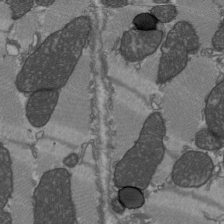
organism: C57BL Mouse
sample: Heart